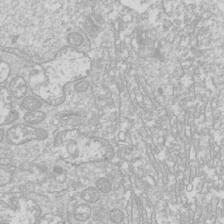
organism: Drosophila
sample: Cell division; meiosis; drosophila spermatocytes